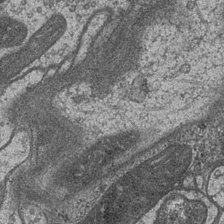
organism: Drosophila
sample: Optic medulla